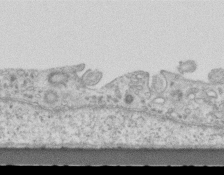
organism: Mouse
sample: Centriole in ependymal cells